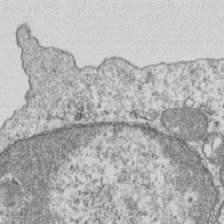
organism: Mouse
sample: Activated OT-1 CD8+ T cells